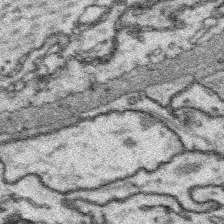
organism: Platynereis dumerilii